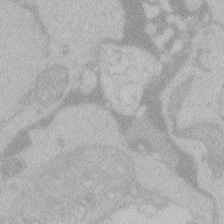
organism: Zebrafish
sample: Macrophage infected with Toxoplasma gondii